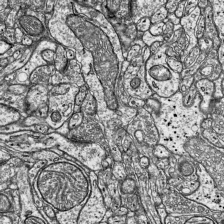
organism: Mouse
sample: Visual Cortex